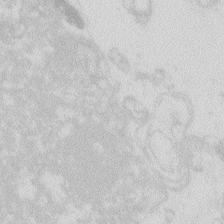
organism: Zebrafish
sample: Macrophage